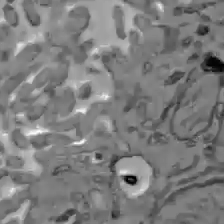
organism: C57BL Mouse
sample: Liver